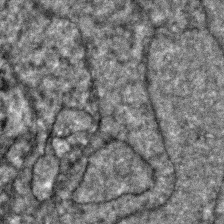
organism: Zebrafish